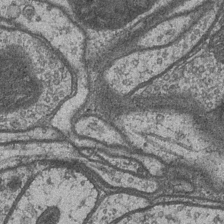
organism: Drosophila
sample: Optic medulla